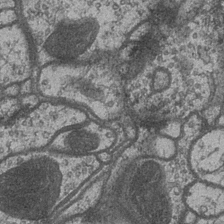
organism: Drosophila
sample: Optic medulla